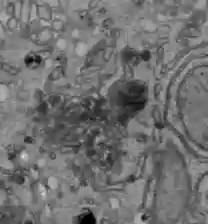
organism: C57BL Mouse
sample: Liver